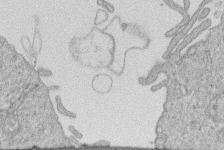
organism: Human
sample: Macrophage cells